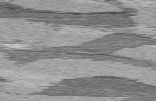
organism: C57BL Mouse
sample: Heart